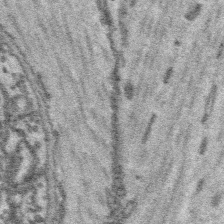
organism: Platynereis dumerilii